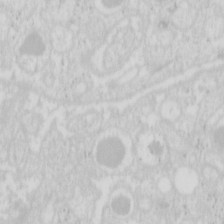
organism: Mouse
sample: Pancreas